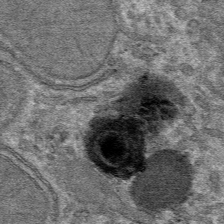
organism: Mouse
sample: Mouse hepatocytes